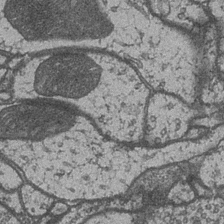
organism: Drosophila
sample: Optic medulla